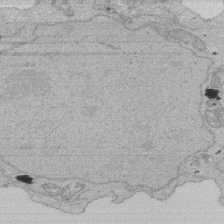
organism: Human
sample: Activated Jurkat CD4+ T cells